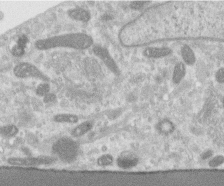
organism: Human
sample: Centriole in RPE cells